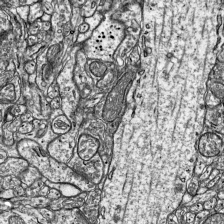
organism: Mouse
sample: Visual Cortex